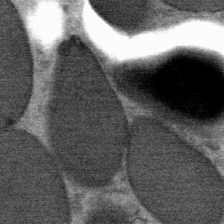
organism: Mouse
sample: Mouse Salivary gland